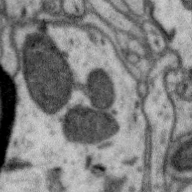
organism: Zebra finch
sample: Brain